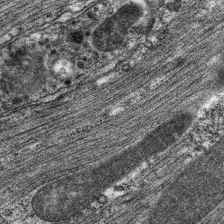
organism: C. elegans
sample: Pharynx